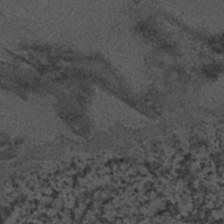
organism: C. elegans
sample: C. elegans embryo